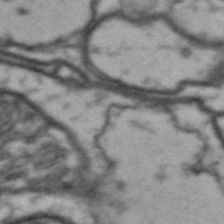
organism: Drosophila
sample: Brain